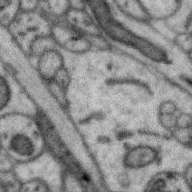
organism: Zebra finch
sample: Brain